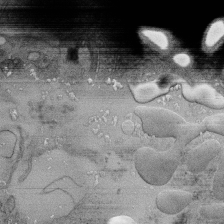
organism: Human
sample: Retinal organoid Rod and Cone cells